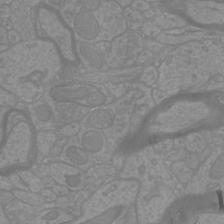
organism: Mouse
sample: Cortical neurons